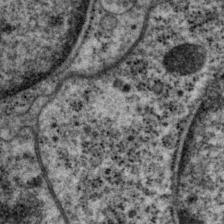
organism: P. pacificus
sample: Pharynx